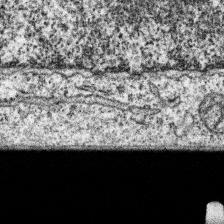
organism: Human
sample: HeLa cells